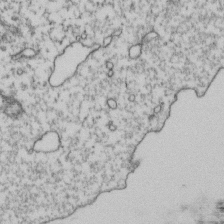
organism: Human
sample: Activated Jurkat CD4+ T cells